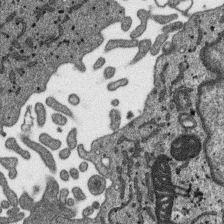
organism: Human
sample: Lung epithelial cells infected with SARS-CoV-2